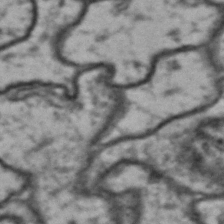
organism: Drosophila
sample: Brain